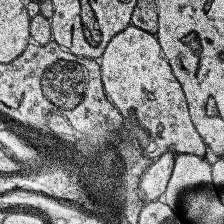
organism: Human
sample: Temporal Lobe